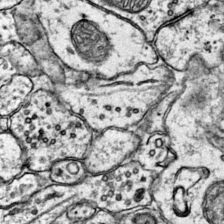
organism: Mouse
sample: Primary visual cortex